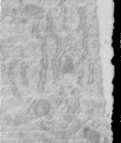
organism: Human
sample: Centriole in RPE cells